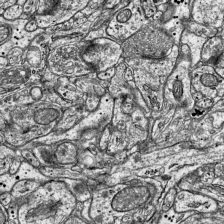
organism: Mouse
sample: Visual Cortex